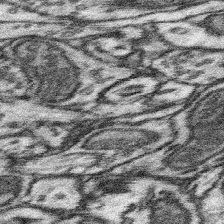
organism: Mouse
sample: Somatosensory cortex neuropil